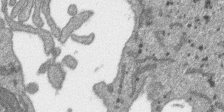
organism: Human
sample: Lung epithelial cells infected with SARS-CoV-2